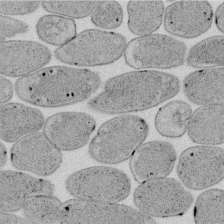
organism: E. coli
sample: Bacterial nucleoid